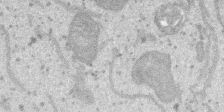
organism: Human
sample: Lung epithelial cells infected with SARS-CoV-2